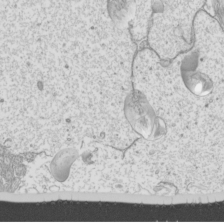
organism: Mouse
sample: Cilia; mouse epididymis